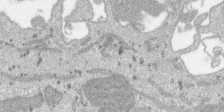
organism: Human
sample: Lung epithelial cells infected with SARS-CoV-2